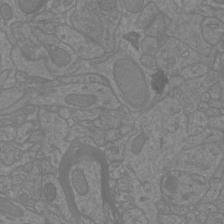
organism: Mouse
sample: Cortical neurons